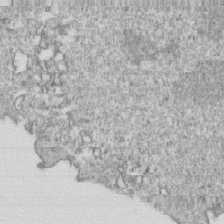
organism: Mouse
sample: Activated OT-1 CD8+ T cells